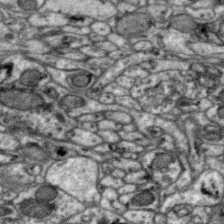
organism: Zebra finch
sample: Brain